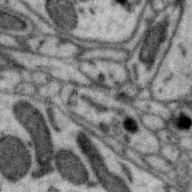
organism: Zebra finch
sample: Brain